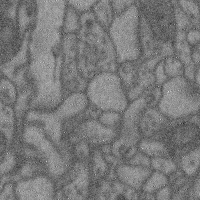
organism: Mouse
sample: Cerebral cortex